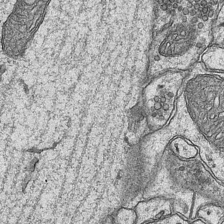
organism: Mouse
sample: CA1 Hippocampus